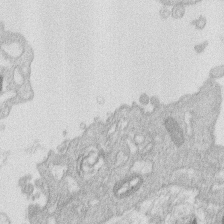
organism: Human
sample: Macrophage cells